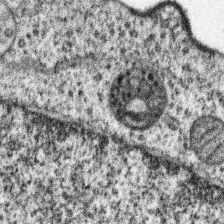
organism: Human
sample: HeLa cells